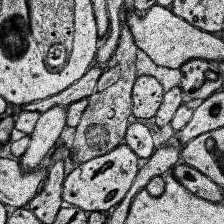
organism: Human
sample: Temporal Lobe